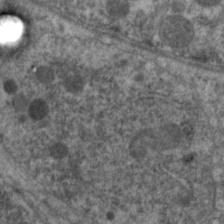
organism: C. elegans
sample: Pharynx